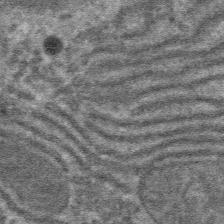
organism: Mouse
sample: Mouse hepatocytes